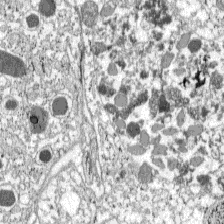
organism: C57BL Mouse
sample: Pancreatic islet